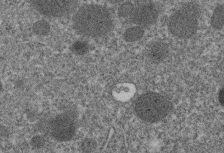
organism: C. elegans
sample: C. elegans embryo early stage